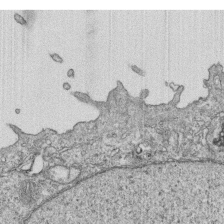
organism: Human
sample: HeLa cell HIV synapse